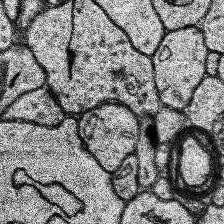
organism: Human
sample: Temporal Lobe